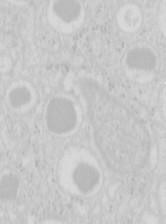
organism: Mouse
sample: Pancreas